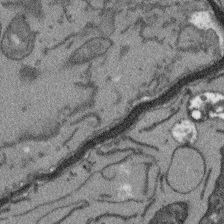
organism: Arabidopsis thaliana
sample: Root tip